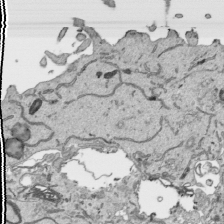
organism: Human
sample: Mitochondria in HCT116 cells